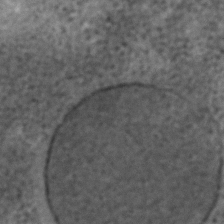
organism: C. elegans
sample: C. elegans embryo